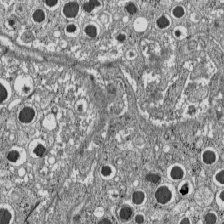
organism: C57BL Mouse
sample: Pancreatic islet